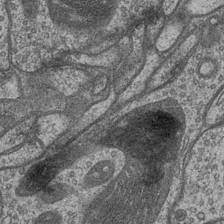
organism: Drosophila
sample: Optic medulla